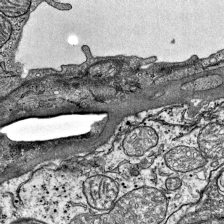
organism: Mouse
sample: Visual Cortex